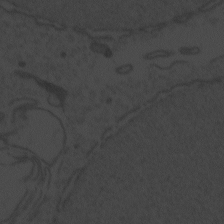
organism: Zebrafish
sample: Macrophage infected with Toxoplasma gondii